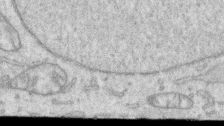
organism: Human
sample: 1205lu cells